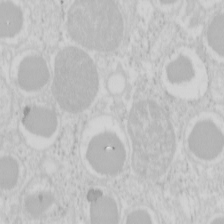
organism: Mouse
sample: Pancreas